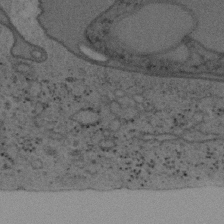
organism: Human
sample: HeLa cells